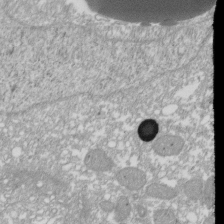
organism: Xenopus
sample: Cilia; centrioles in frog embryo cells